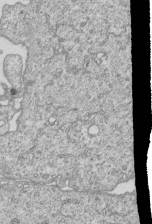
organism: Human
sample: MDA-MB-231 cells